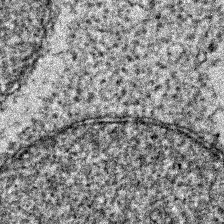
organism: Zebrafish